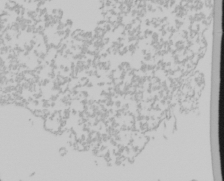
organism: Mouse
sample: Cancer cell death in ED-1 cells